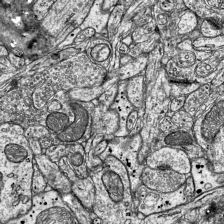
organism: Mouse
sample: Visual Cortex